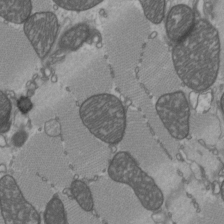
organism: C57BL Mouse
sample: Heart